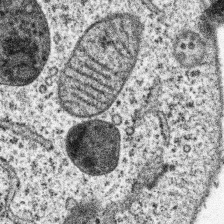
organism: Human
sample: HeLa cells